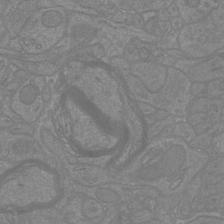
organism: Mouse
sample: Cortical neurons